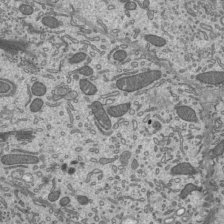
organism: Mouse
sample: Mouse epididymis efferent ductule cilia